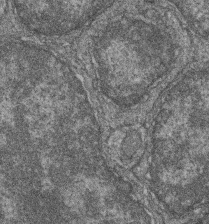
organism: Zebrafish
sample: Cilia; retinal pigment epithelium